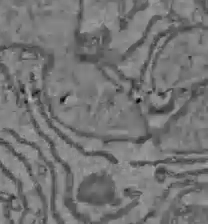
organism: C57BL Mouse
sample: Liver